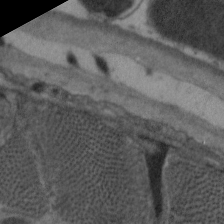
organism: C. elegans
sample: Pharynx